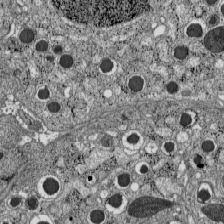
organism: C57BL Mouse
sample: Pancreatic islet